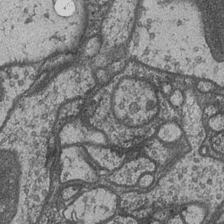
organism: Drosophila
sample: Optic medulla